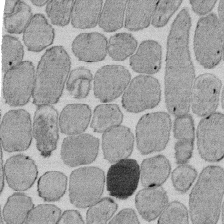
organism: E. coli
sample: Bacterial nucleoid